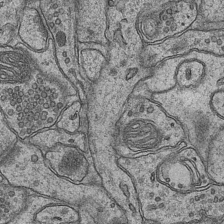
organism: Mouse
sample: CA1 Hippocampus